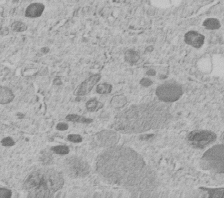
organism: C. elegans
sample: C. elegans embryo early stage